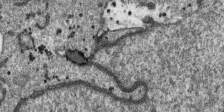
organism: Human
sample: Lung epithelial cells infected with SARS-CoV-2